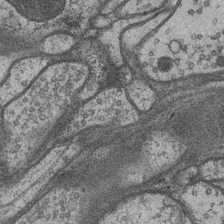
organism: Drosophila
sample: Optic medulla